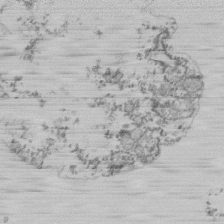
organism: Mouse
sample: Activated Pmel transgenic CD8+ T Cells